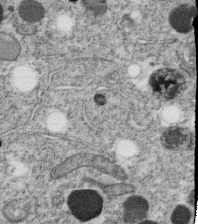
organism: C. elegans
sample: C. elegans oocyte; sperm cells